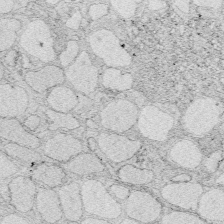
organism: Zebrafish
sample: Whole-Brain